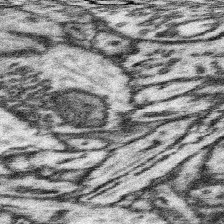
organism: Mouse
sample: Somatosensory cortex neuropil